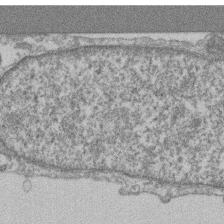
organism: Mouse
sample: T cell stromal cell synapse